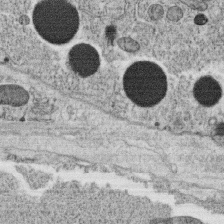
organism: C. elegans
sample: C. elegans oocyte; sperm cells